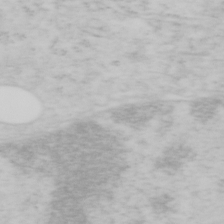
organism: Mouse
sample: OT-I killer T cells with ID8 ovarian cancer cells